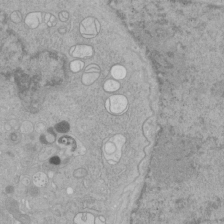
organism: Human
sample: Mitochondria in HCT116 cells